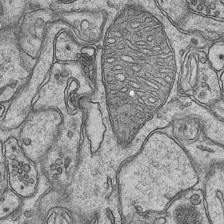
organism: Mouse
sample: CA1 Hippocampus